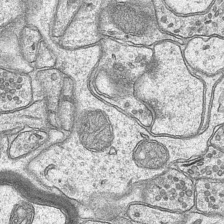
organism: Mouse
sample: CA1 Hippocampus